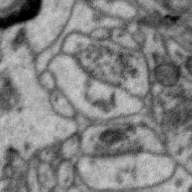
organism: Zebra finch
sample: Brain